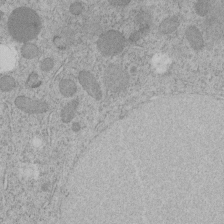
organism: C. elegans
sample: C. elegans embryo early stage